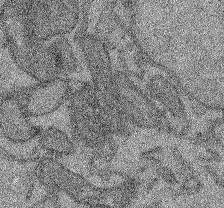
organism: Human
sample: HeLa cells